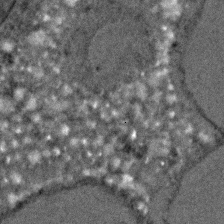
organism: C. elegans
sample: C. elegans embryo